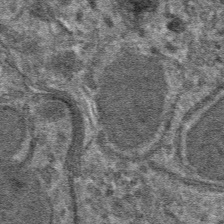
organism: Mouse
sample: Mouse hepatocytes